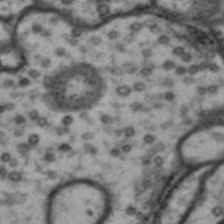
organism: Drosophila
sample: Brain